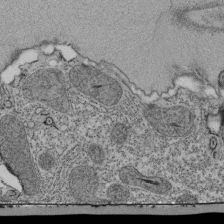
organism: Tetrahymena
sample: Cilia in tetrahymena